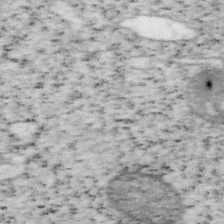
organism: Mouse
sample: OT-I killer T cells with ID8 ovarian cancer cells